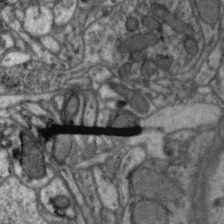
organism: Zebra finch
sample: Brain